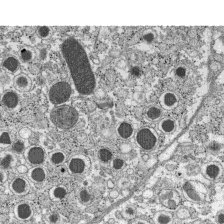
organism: C57BL Mouse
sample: Pancreatic islet